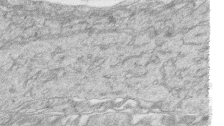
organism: Zebrafish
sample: synaptic ribbons in rod cells and cone cells